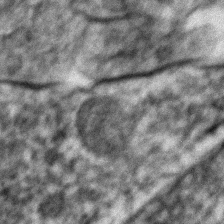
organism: Zebrafish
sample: Zebrafish embryo